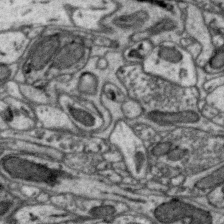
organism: Zebra finch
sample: Brain